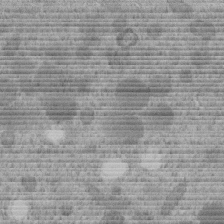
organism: C. elegans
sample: C. elegans embryo early stage